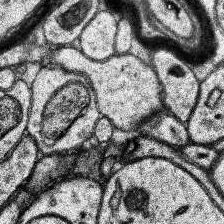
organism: Human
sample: Temporal Lobe